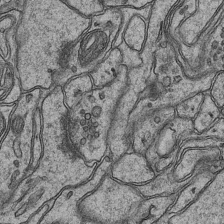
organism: Mouse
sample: CA1 Hippocampus